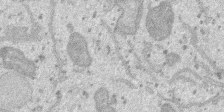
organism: Human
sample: Lung epithelial cells infected with SARS-CoV-2